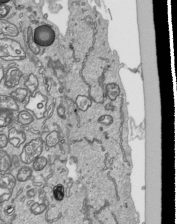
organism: Human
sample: Mitochondria in HCT116 cells